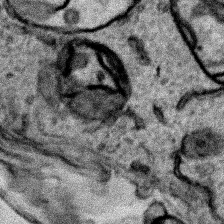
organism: Human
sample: Mitochondria in HCT116 cells